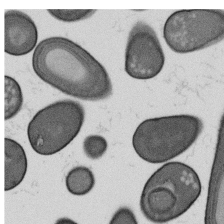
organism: B. subtilis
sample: Bacterial spore